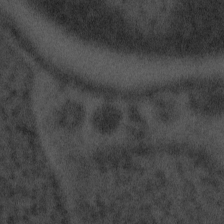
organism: Tuwongella immobilis